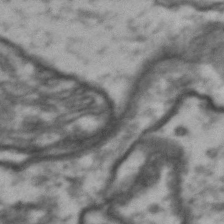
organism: Drosophila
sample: Brain